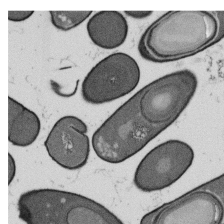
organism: B. subtilis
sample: Bacterial spore